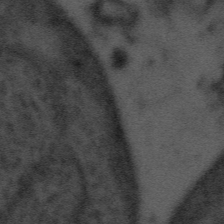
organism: Tuwongella immobilis